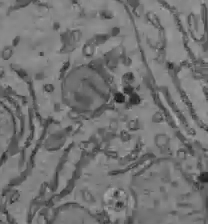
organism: C57BL Mouse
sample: Liver